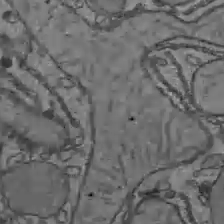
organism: C57BL Mouse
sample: Liver